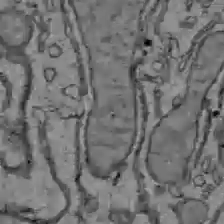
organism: C57BL Mouse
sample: Liver